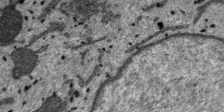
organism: Human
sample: Lung epithelial cells, uninfected (mock) control